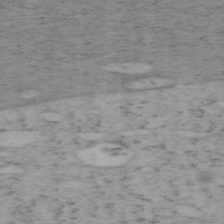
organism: Mouse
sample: OT-I killer T cells with ID8 ovarian cancer cells